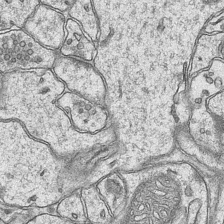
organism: Mouse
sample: CA1 Hippocampus